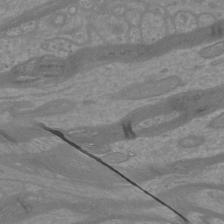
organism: Mouse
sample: Cortical neurons